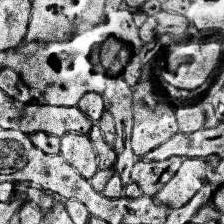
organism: Human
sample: Temporal Lobe